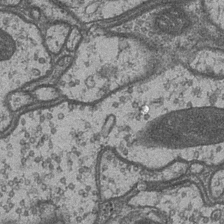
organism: Drosophila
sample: Optic medulla